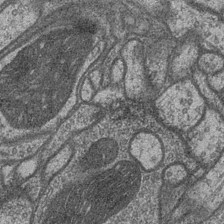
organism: Drosophila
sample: Optic medulla